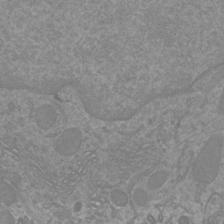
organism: Mouse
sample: Cortical neurons